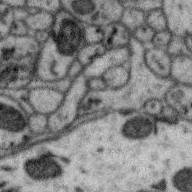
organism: Zebra finch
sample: Brain